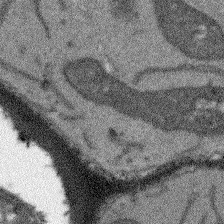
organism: Arabidopsis thaliana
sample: Root tip